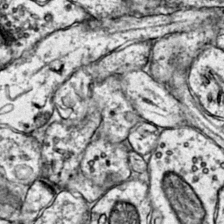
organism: Mouse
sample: Primary visual cortex